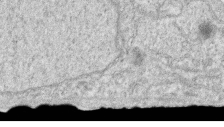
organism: Human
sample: HeLa cell HIV synapse